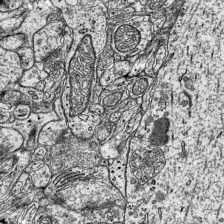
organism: Mouse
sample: Visual Cortex